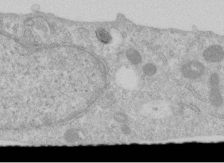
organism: Human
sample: Centriole in RPE cells